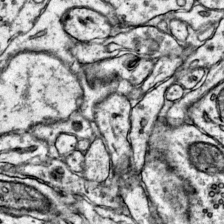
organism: Mouse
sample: Primary visual cortex